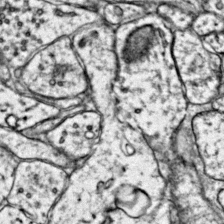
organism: Mouse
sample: Primary visual cortex